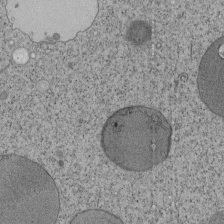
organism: Tetrahymena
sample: Cilia in tetrahymena